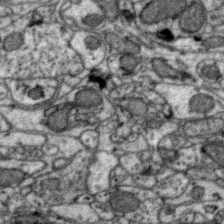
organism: Zebra finch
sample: Brain